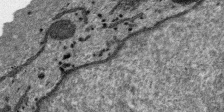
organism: Human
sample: Lung epithelial cells, uninfected (mock) control